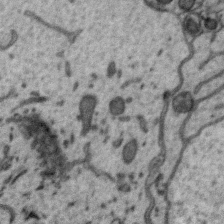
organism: Zebra finch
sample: Brain